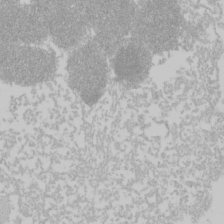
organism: Mouse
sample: Cancer cell death in ED-1 cells